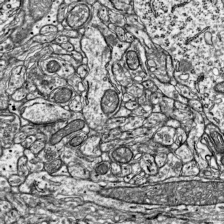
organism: Mouse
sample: Visual Cortex